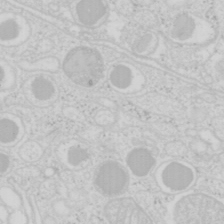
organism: Mouse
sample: Pancreas